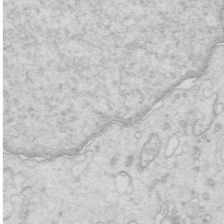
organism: Mouse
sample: Multiciliated cells